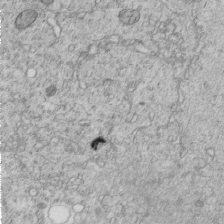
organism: C. elegans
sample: C. elegans embryo early stage